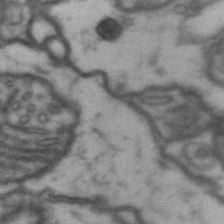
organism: Drosophila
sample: Brain